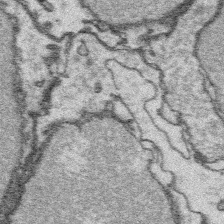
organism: Platynereis dumerilii